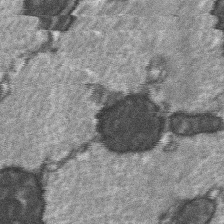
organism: C57BL Mouse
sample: Soleus